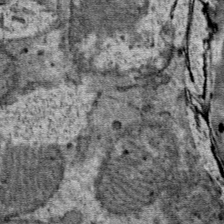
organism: Mouse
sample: Mouse Salivary gland